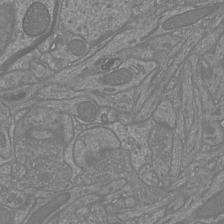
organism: Mouse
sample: Cortical neurons